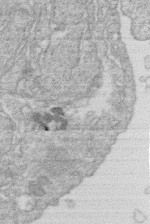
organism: Human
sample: Macrophage cells